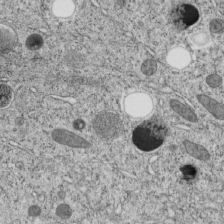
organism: C. elegans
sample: C. elegans embryo early stage